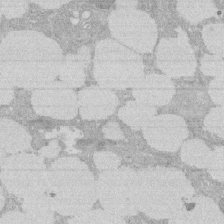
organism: Rat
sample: Salivary granule